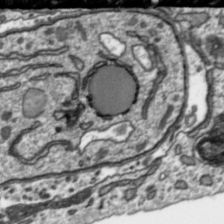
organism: Toxoplasma gondii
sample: Parasites in a vacuole inside a host cell